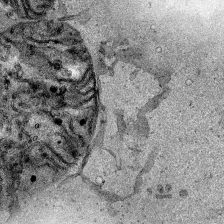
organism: Human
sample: Mitochondria in HCT116 cells